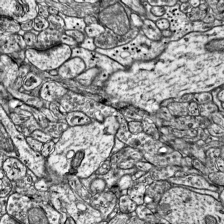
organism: Mouse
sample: Visual Cortex